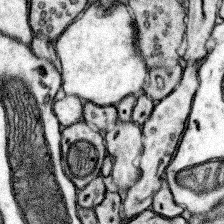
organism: Mouse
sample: Somatosensory cortex neuropil